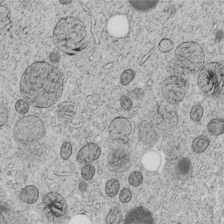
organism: C. elegans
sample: C. elegans embryo early stage